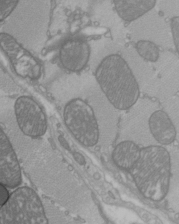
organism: C57BL Mouse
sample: Heart